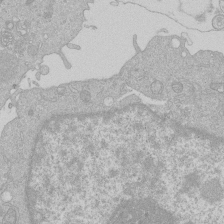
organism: Human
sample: Macrophage cells